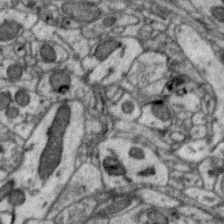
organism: Zebra finch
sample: Brain